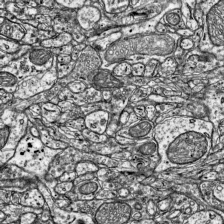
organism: Mouse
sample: Visual Cortex